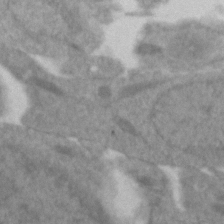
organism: Zebrafish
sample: Zebrafish embryo